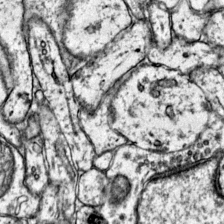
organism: Mouse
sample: Primary visual cortex